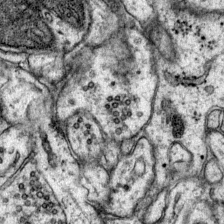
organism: Mouse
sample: Primary visual cortex